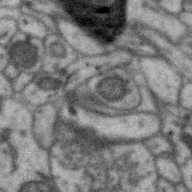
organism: Zebra finch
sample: Brain